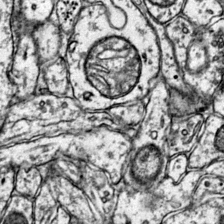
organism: Mouse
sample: Primary visual cortex